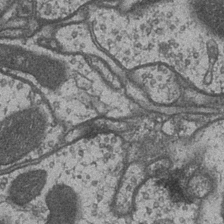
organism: Drosophila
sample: Optic medulla